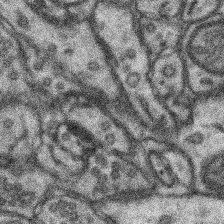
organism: Mouse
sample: Somatosensory cortex neuropil